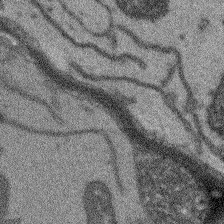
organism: Arabidopsis thaliana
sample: Root tip